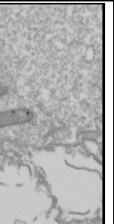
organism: Drosophila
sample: Cell division; meiosis; drosophila spermatocytes